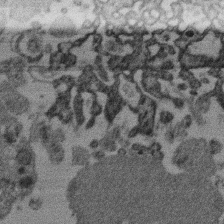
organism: Mouse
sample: Dividing mouse embryo 1 cell stage